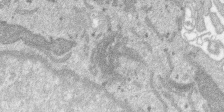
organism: Human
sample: Lung epithelial cells infected with SARS-CoV-2